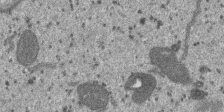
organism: Human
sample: Lung epithelial cells infected with SARS-CoV-2